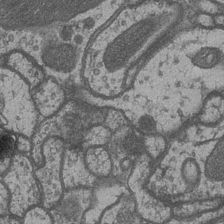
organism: Drosophila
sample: Optic medulla